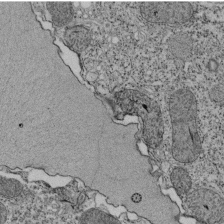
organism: Tetrahymena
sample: Cilia in tetrahymena